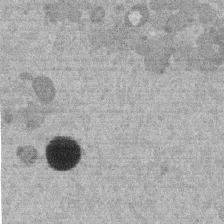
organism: Mouse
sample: Dividing mouse embryo 1 cell stage